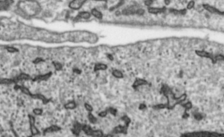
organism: Toxoplasma gondii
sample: Parasites in a vacuole inside a host cell